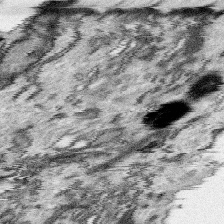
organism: Human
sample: HeLa cells